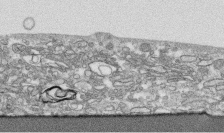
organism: Human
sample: CRL-1474